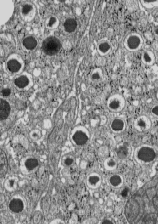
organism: C57BL Mouse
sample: Pancreatic islet